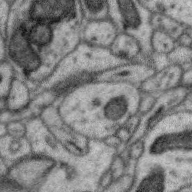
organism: Zebra finch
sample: Brain